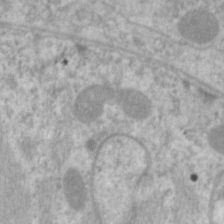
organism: C. elegans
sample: Pharynx